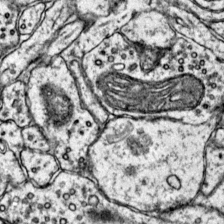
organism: Mouse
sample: Primary visual cortex